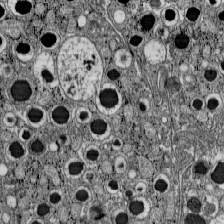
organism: C57BL Mouse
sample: Pancreatic islet